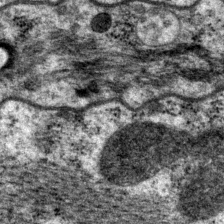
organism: P. pacificus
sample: Pharynx